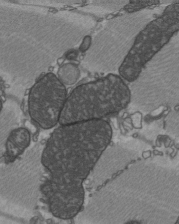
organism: C57BL Mouse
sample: Heart